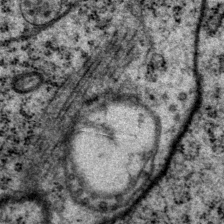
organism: P. pacificus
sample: Pharynx